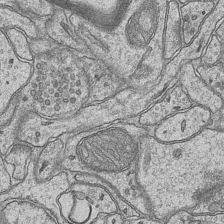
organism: Mouse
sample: CA1 Hippocampus